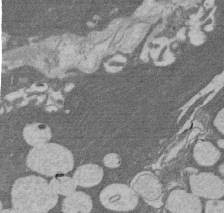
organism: Rat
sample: Salivary granule